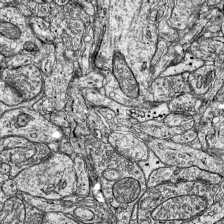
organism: Mouse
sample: Visual Cortex